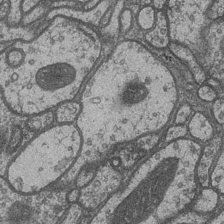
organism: Drosophila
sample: Optic medulla